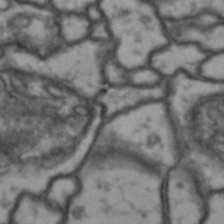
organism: Drosophila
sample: Brain